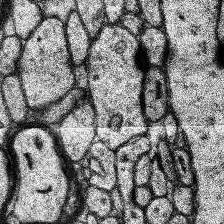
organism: Human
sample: Temporal Lobe